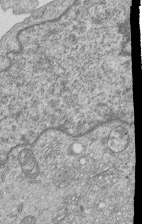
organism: Human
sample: MDA-MB-231 cells